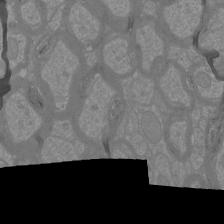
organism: Mouse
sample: Cortical neurons